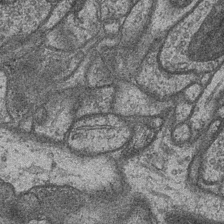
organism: Drosophila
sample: Optic medulla